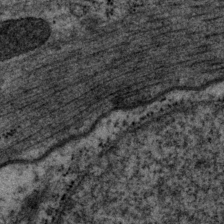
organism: P. pacificus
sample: Pharynx